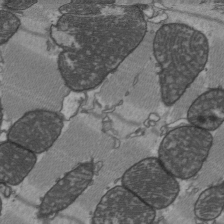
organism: C57BL Mouse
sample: Heart